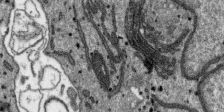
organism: Human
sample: Lung epithelial cells, uninfected (mock) control